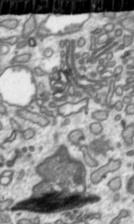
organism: Toxoplasma gondii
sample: Parasites in a vacuole inside a host cell